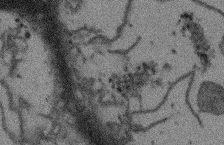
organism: Arabidopsis thaliana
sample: Root tip